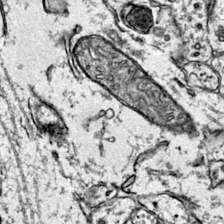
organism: Mouse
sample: Primary visual cortex